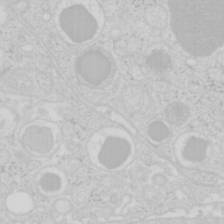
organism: Mouse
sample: Pancreas